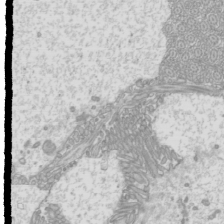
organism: Mouse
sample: Cilia; mouse epididymis